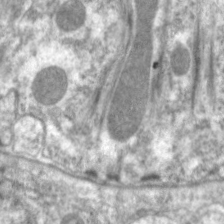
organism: C. elegans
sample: Pharynx